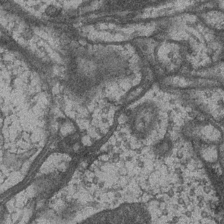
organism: Drosophila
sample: Optic medulla